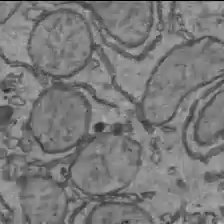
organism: C57BL Mouse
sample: Liver